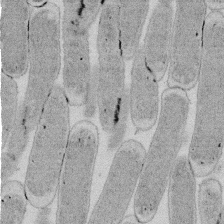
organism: E. coli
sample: Bacterial nucleoid